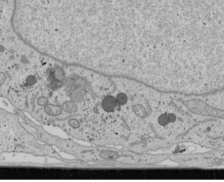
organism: Human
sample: Mitochondria in U2OS cells